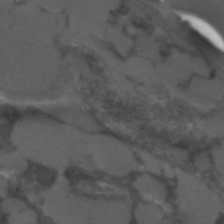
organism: C. elegans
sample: C. elegans embryo